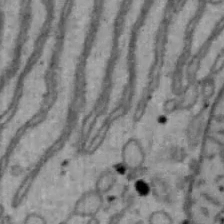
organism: Mouse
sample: Liver